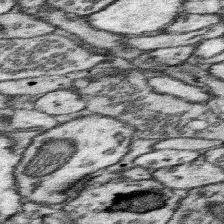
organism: Mouse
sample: Somatosensory cortex neuropil